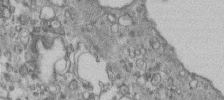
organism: Human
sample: Centriole in fibroblast cells